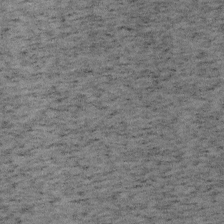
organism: Mouse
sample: OT-I killer T cells with ID8 ovarian cancer cells